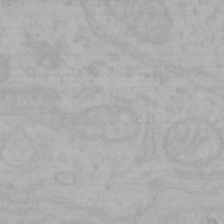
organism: Mouse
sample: Choroid plexus